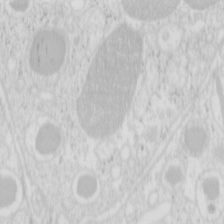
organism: Mouse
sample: Pancreas